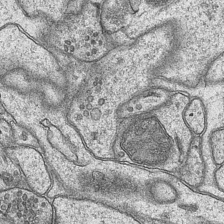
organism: Mouse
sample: CA1 Hippocampus